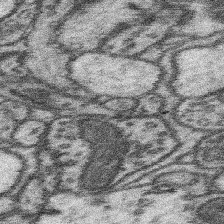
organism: Mouse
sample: Somatosensory cortex neuropil